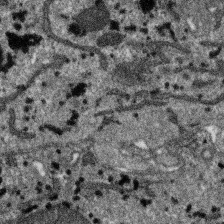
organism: Human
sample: Lung epithelial cells infected with SARS-CoV-2